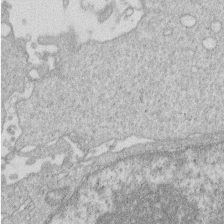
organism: Human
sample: Macrophage cells